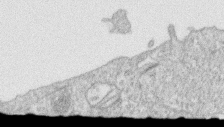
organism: Human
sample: HeLa cell HIV synapse